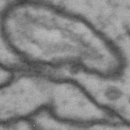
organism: Drosophila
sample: Brain